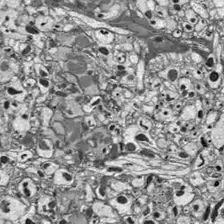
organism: Drosophila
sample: Optic lobe